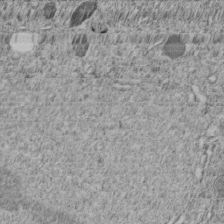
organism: C. elegans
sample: C. elegans embryo early stage